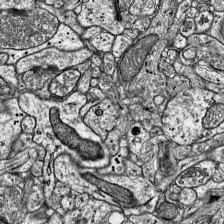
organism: Mouse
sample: Visual Cortex